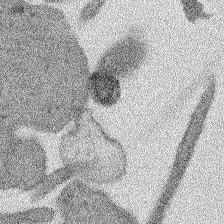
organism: Human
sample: HeLa cells